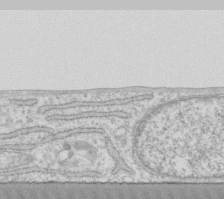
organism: Human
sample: Fibroblast cells